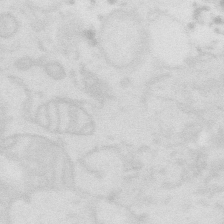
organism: Human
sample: HeLa cells